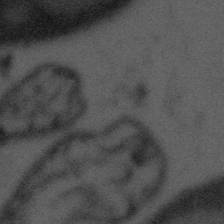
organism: Tuwongella immobilis